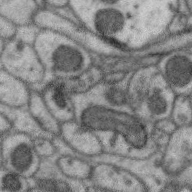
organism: Zebra finch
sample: Brain